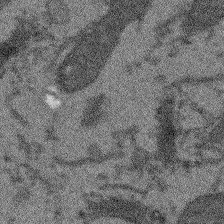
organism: Arabidopsis thaliana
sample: Root tip